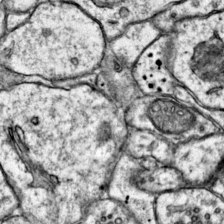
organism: Mouse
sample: Primary visual cortex